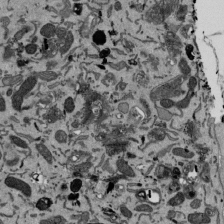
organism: Mouse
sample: ED-1 cell nuclei; centrioles